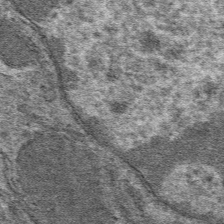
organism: Mouse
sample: Mouse hepatocytes